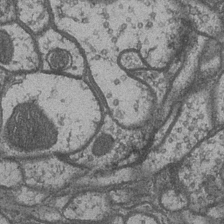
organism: Drosophila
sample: Optic medulla